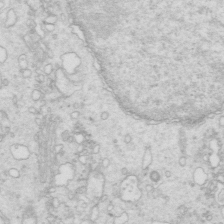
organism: Mouse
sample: Multiciliated cells